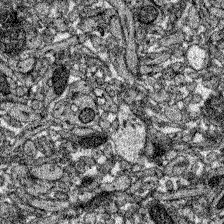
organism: Zebrafish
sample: Larval olfactory bulb